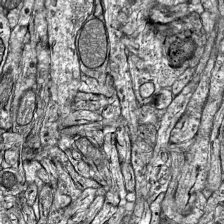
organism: Mouse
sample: Visual Cortex